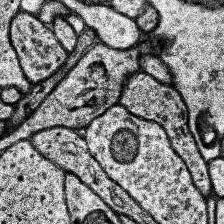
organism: Human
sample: Temporal Lobe